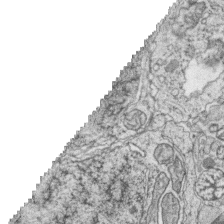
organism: Zebrafish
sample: synaptic ribbons in rod cells and cone cells